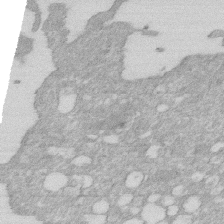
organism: Human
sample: HIV infected U937 cells